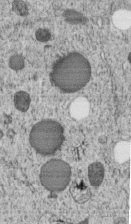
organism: C. elegans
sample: C. elegans embryo early stage